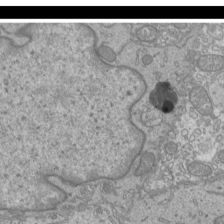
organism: Mouse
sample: Cilia; mouse epididymis